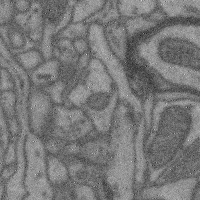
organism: Mouse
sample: Cerebral cortex